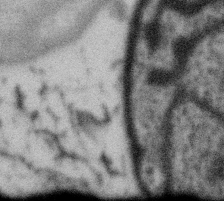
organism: Gemmata obscuriglobus